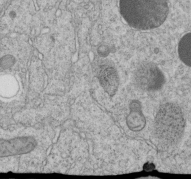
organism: C. elegans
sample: C. elegans embryo early stage